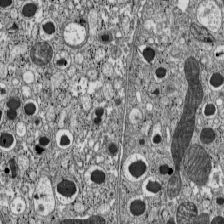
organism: C57BL Mouse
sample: Pancreatic islet